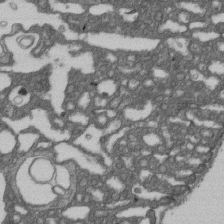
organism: Drosophila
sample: Nephrocyte